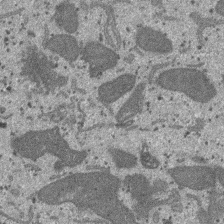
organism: Human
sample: Lung epithelial cells infected with SARS-CoV-2